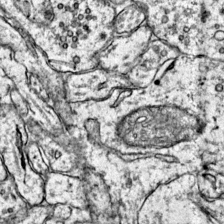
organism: Mouse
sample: Primary visual cortex